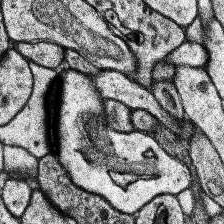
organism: Human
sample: Temporal Lobe